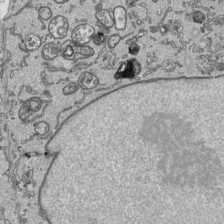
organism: Human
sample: Mitochondria in HCT116 cells